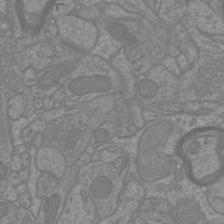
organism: Mouse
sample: Cortical neurons